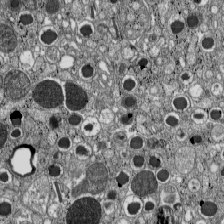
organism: C57BL Mouse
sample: Pancreatic islet